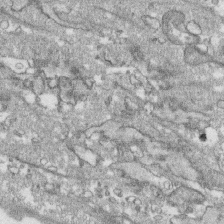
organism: Human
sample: CRL-1474